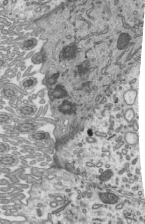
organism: Mouse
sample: Mouse epididymis efferent ductule cilia